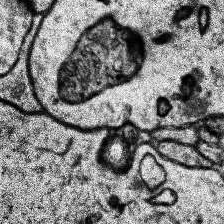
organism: Human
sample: Temporal Lobe